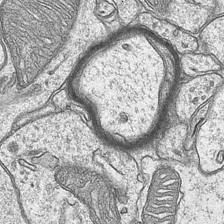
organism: Mouse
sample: CA1 Hippocampus